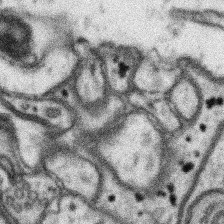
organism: Mouse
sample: Somatosensory cortex neuropil